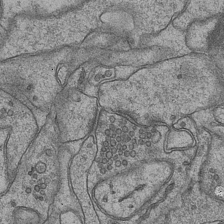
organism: Mouse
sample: CA1 Hippocampus